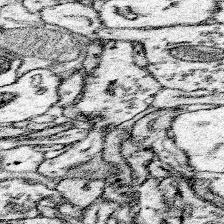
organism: Mouse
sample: Somatosensory cortex neuropil